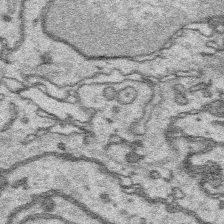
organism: Platynereis dumerilii